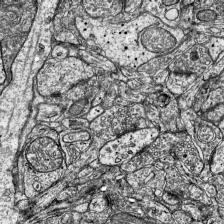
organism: Mouse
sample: Visual Cortex